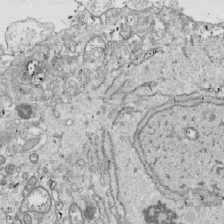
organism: Drosophila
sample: Cell division; meiosis; drosophila spermatocytes